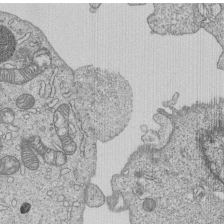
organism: Human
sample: MDA-MB-231 cells